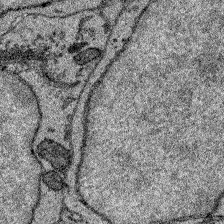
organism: Zebrafish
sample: Larval olfactory bulb